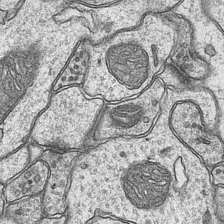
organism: Mouse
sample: CA1 Hippocampus